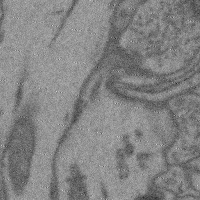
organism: Mouse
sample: Cerebral cortex